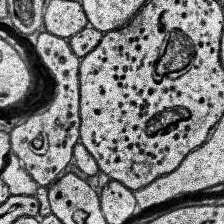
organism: Human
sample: Temporal Lobe